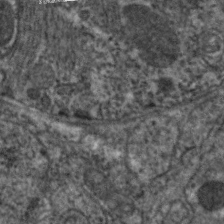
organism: C. elegans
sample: Pharynx